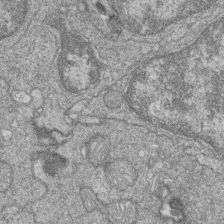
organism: Zebrafish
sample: Cilia; retinal pigment epithelium